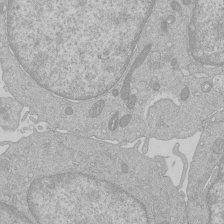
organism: Human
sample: Macrophage cells